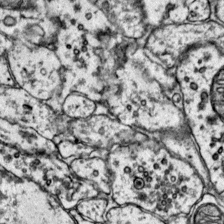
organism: Mouse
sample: Primary visual cortex